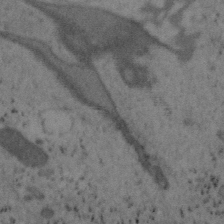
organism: Human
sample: HeLa cells